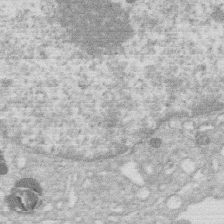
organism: Human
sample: Macrophage cells